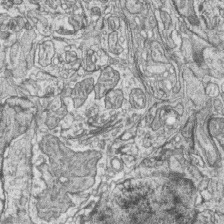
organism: Zebrafish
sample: synaptic ribbons in rod cells and cone cells